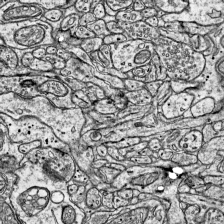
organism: Mouse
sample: Visual Cortex